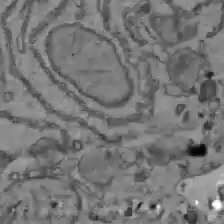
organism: C57BL Mouse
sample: Liver